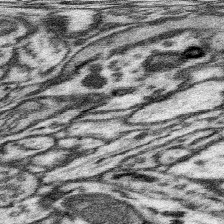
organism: Mouse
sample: Somatosensory cortex neuropil